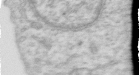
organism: Human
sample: Centriole in RPE cells